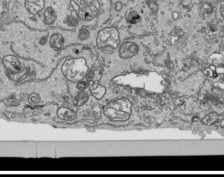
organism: Human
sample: Mitochondria in HCT116 cells